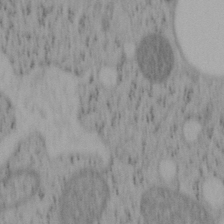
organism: Mouse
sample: OT-I killer T cells with ID8 ovarian cancer cells